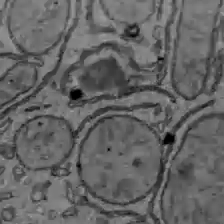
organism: C57BL Mouse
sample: Liver